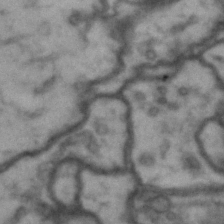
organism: Drosophila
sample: Brain